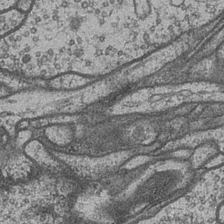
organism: Drosophila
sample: Optic medulla